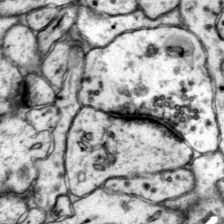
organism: Mouse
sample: Primary visual cortex